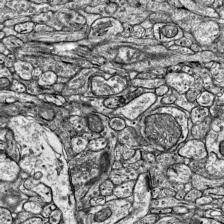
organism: Mouse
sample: Visual Cortex